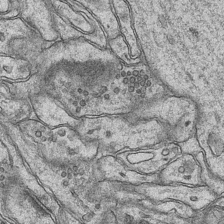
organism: Mouse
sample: CA1 Hippocampus